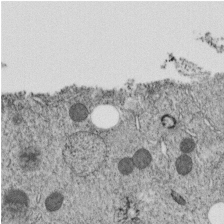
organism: C. elegans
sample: C. elegans embryo early stage